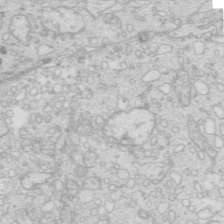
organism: Mouse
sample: Multiciliated cells